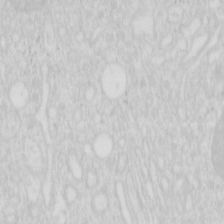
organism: Mouse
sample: Pancreas